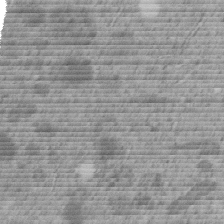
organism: C. elegans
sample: C. elegans embryo early stage